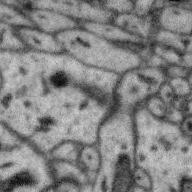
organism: Zebra finch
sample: Brain